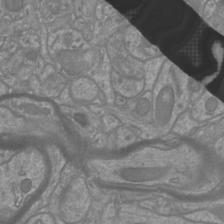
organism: Mouse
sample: Cortical neurons